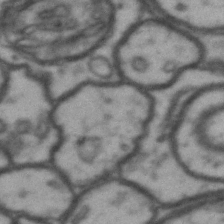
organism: Drosophila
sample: Brain